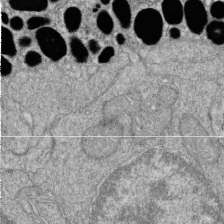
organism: Zebrafish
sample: Cilia; retinal pigment epithelium